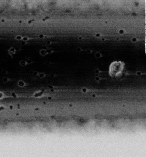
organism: Human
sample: Activated Jurkat CD4+ T cells